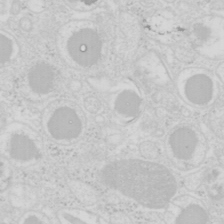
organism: Mouse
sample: Pancreas